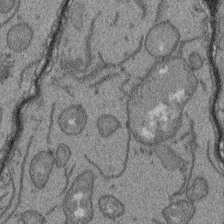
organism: Arabidopsis thaliana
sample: Root tip